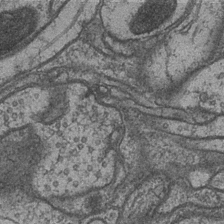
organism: Drosophila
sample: Optic medulla